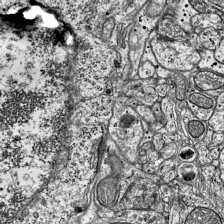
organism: Mouse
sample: Visual Cortex